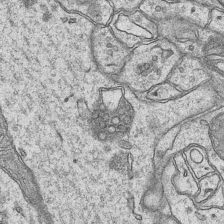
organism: Mouse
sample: CA1 Hippocampus